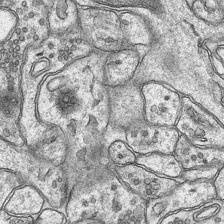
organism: Mouse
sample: CA1 Hippocampus